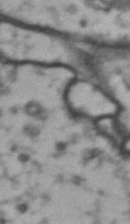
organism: Drosophila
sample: Brain